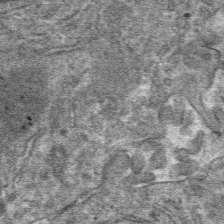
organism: Mouse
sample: Mouse hepatocytes